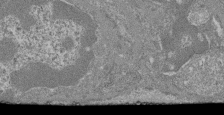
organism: Mouse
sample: Glomerulus